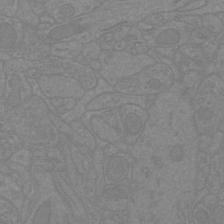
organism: Mouse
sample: Cortical neurons